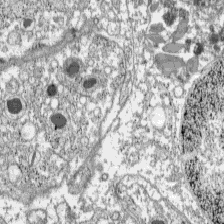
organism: C57BL Mouse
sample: Pancreatic islet